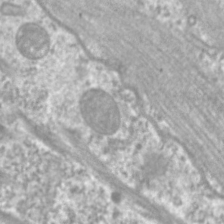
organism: C. elegans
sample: Pharynx